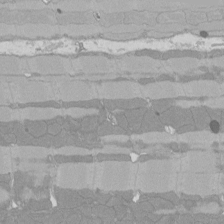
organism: Rat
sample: Left ventricle